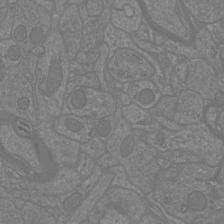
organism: Mouse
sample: Cortical neurons